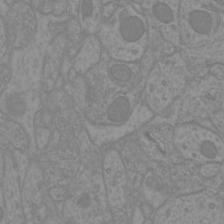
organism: Mouse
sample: Cortical neurons